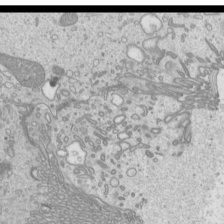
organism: Mouse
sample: Cilia; mouse epididymis